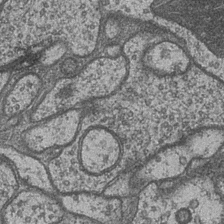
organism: Drosophila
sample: Optic medulla